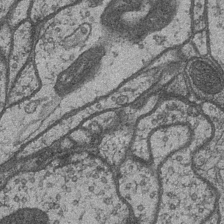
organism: Drosophila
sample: Optic medulla